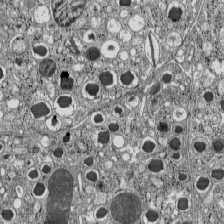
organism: C57BL Mouse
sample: Pancreatic islet